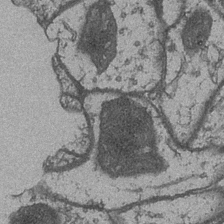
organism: Drosophila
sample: Optic medulla